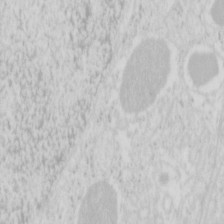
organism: Mouse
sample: Pancreas